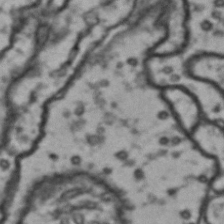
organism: Drosophila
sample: Brain